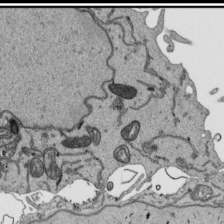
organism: Human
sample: Mitochondria in HCT116 cells